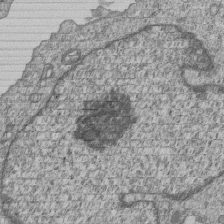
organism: Human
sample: MDA-MB-231 cells